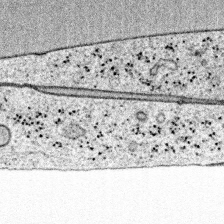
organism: Human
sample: HeLa cells